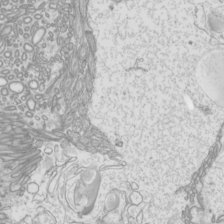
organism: Mouse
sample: Cilia; mouse epididymis